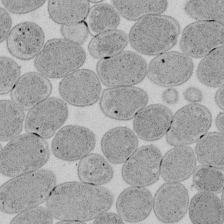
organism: E. coli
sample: Bacterial nucleoid